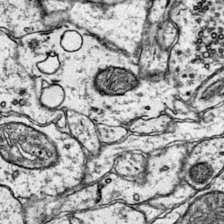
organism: Mouse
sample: Primary visual cortex